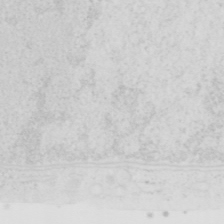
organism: Human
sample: SUM-159 cell